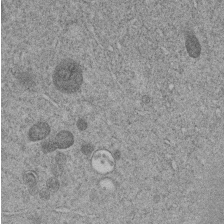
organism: C. elegans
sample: C. elegans embryo early stage